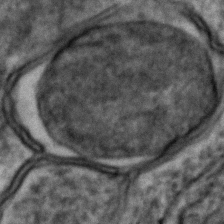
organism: Zebrafish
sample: Zebrafish embryo